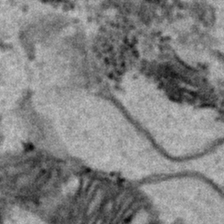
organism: Human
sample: Mitochondria in HCT116 cells